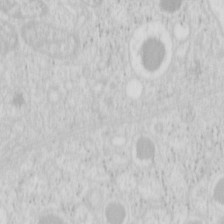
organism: Mouse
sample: Pancreas